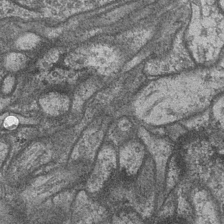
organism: Drosophila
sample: Optic medulla